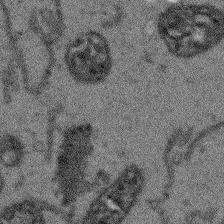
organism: Arabidopsis thaliana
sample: Root tip